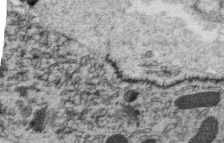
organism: C. elegans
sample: C. elegans oocyte; sperm cells